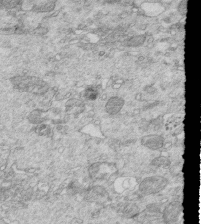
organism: Mouse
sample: Multiciliated cells